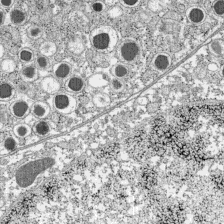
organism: C57BL Mouse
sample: Pancreatic islet